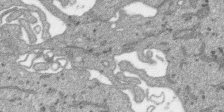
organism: Human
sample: Lung epithelial cells infected with SARS-CoV-2